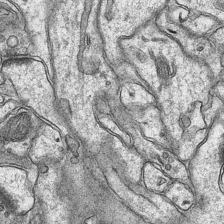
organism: Mouse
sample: CA1 Hippocampus